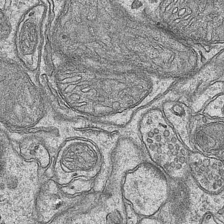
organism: Mouse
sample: CA1 Hippocampus